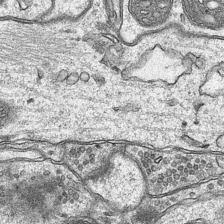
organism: Mouse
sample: CA1 Hippocampus